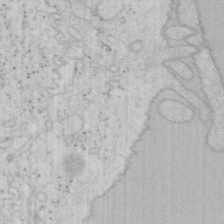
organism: Human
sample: HeLa cells